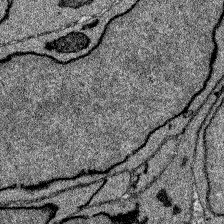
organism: Zebrafish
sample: Larval olfactory bulb